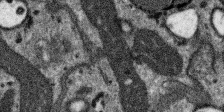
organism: Human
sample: Lung epithelial cells infected with SARS-CoV-2